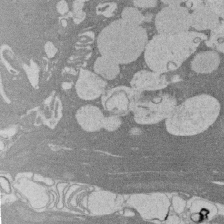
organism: Rat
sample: Salivary granule